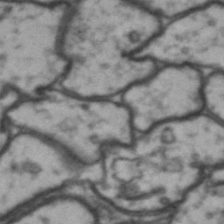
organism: Drosophila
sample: Brain